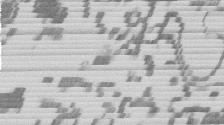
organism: Mouse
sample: Dividing mouse embryo 1 cell stage